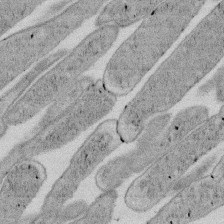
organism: E. coli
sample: Bacterial nucleoid